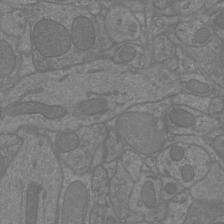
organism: Mouse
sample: Cortical neurons